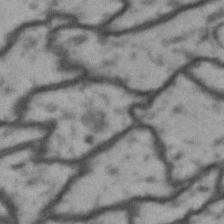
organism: Drosophila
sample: Brain